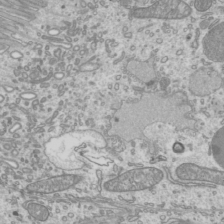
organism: Mouse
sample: Cilia; mouse epididymis